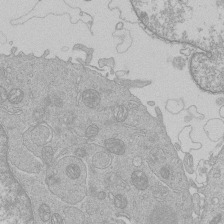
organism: Human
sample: Macrophage cells